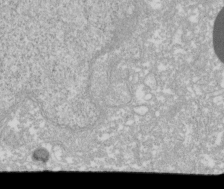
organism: Xenopus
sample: Cilia; centrioles in frog embryo cells